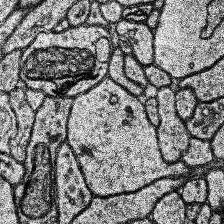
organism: Human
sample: Temporal Lobe